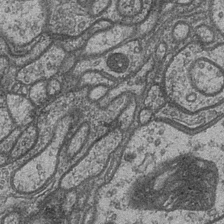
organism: Drosophila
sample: Optic medulla